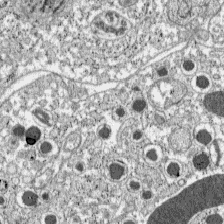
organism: C57BL Mouse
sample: Pancreatic islet